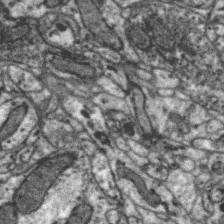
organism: Zebra finch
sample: Brain